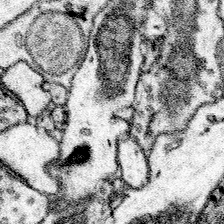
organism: Mouse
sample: Somatosensory cortex neuropil